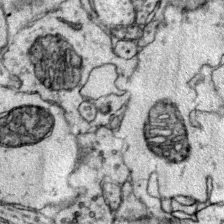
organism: Mouse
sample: Primary visual cortex